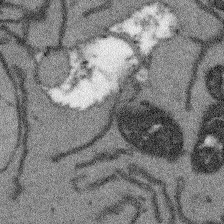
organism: Arabidopsis thaliana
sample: Root tip